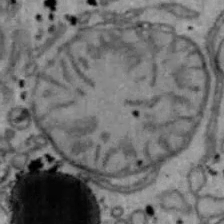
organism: Mouse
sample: Liver